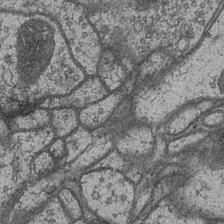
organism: Drosophila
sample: Optic medulla